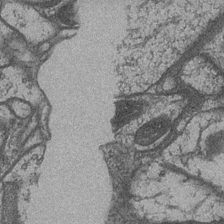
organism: Drosophila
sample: Optic medulla